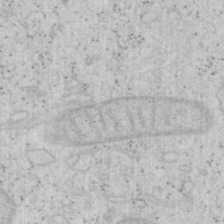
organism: Human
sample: HeLa cells